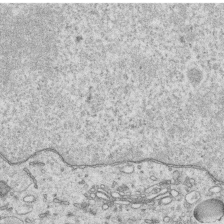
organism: Human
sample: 1205lu cells